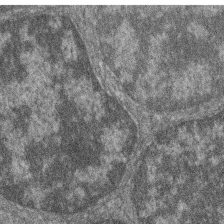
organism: Zebrafish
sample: Cilia; retinal pigment epithelium